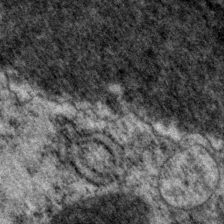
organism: P. pacificus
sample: Pharynx